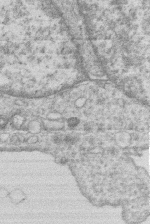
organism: Human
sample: Macrophage cells